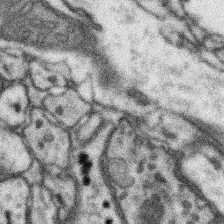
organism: Mouse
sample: Somatosensory cortex neuropil